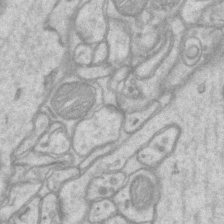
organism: Mouse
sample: CA1 Hippocampus